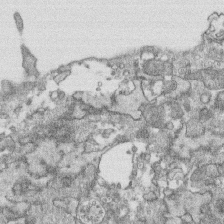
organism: Human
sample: CRL-1474